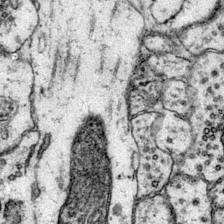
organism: Mouse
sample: Primary visual cortex